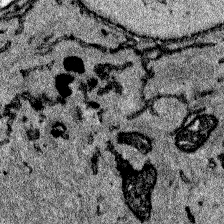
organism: Zebrafish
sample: Larval olfactory bulb